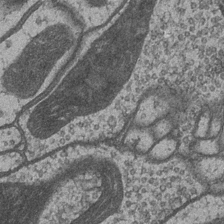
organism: Drosophila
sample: Optic medulla